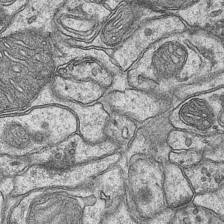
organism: Mouse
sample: CA1 Hippocampus